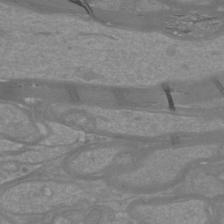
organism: Mouse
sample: Cortical neurons